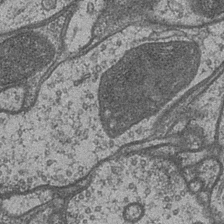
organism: Drosophila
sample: Optic medulla